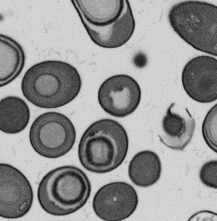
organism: B. subtilis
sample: Bacterial spore